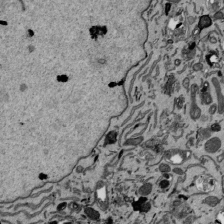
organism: Mouse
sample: ED-1 cell nuclei; centrioles